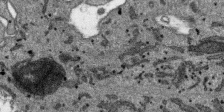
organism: Human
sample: Lung epithelial cells, uninfected (mock) control